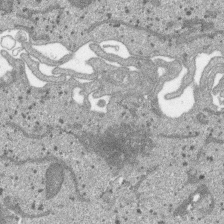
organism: Human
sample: Lung epithelial cells infected with SARS-CoV-2